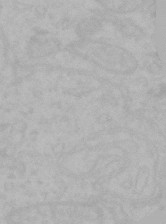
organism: Mouse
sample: Choroid plexus